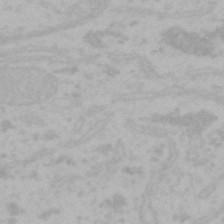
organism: Mouse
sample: Choroid plexus